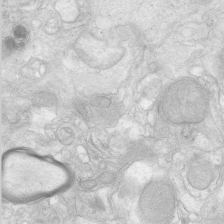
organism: Human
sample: Neocortex